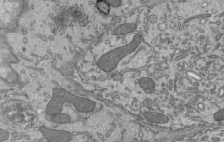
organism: Mouse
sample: Mouse epididymis efferent ductule cilia